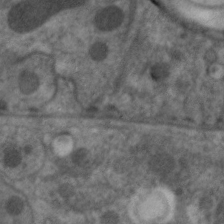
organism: C. elegans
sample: Pharynx